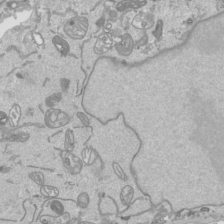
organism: Human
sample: Mitochondria in HCT116 cells